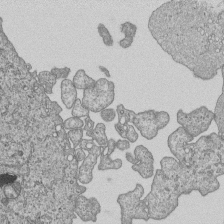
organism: Human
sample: MDA-MB-231 cells